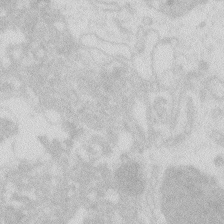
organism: Zebrafish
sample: Macrophage